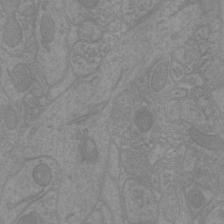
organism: Mouse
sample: Cortical neurons